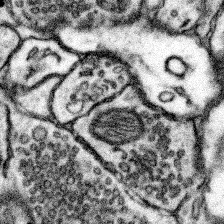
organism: Mouse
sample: Somatosensory cortex neuropil